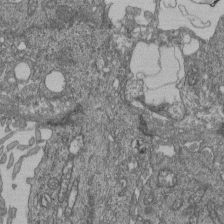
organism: Human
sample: Retinal organoid Rod and Cone cells